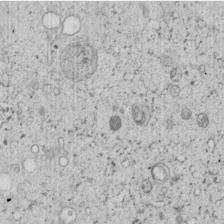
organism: C. elegans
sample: C. elegans embryo early stage